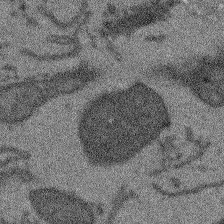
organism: Arabidopsis thaliana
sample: Root tip